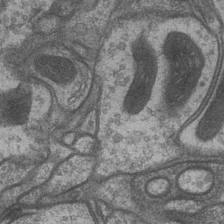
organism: Drosophila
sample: Optic medulla